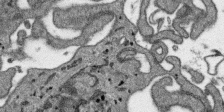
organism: Human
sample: Lung epithelial cells, uninfected (mock) control